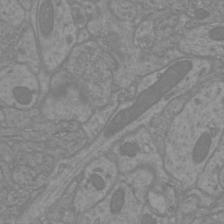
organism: Mouse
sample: Cortical neurons